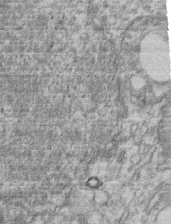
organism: Mouse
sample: T cell stromal cell synapse